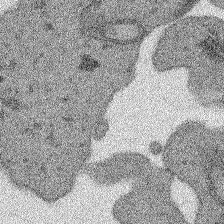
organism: Human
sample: HeLa cells